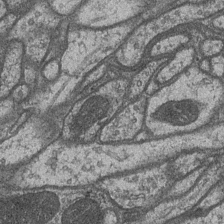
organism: Drosophila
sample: Optic medulla